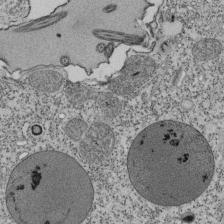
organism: Tetrahymena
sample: Cilia in tetrahymena